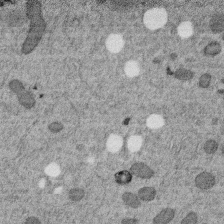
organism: C. elegans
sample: C. elegans embryo early stage